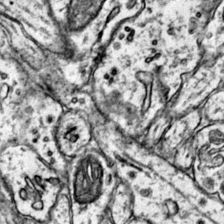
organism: Mouse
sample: Primary visual cortex